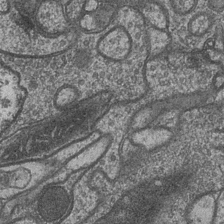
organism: Drosophila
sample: Optic medulla